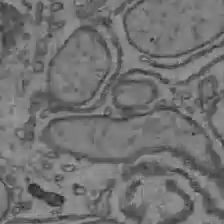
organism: C57BL Mouse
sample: Liver